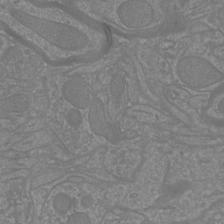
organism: Mouse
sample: Cortical neurons